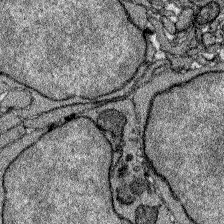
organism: Zebrafish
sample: Larval olfactory bulb